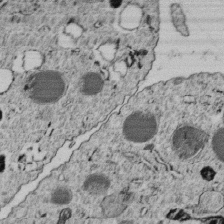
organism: C. elegans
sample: C. elegans embryo early stage